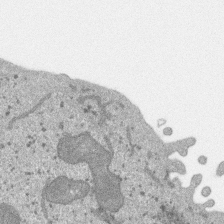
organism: Human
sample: Lung epithelial cells infected with SARS-CoV-2